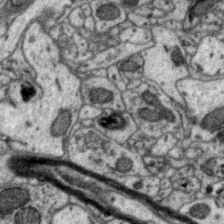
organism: Zebra finch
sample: Brain